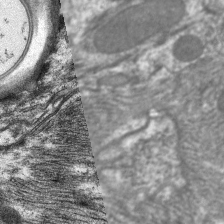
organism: C. elegans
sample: Pharynx